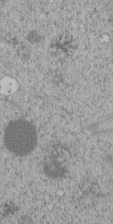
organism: C. elegans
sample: C. elegans embryo early stage